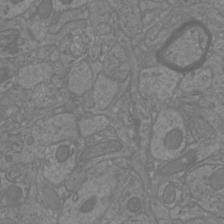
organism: Mouse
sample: Cortical neurons